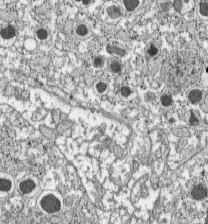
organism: C57BL Mouse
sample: Pancreatic islet